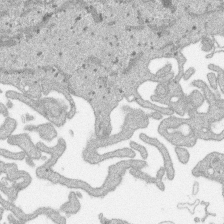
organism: Human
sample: Lung epithelial cells infected with SARS-CoV-2